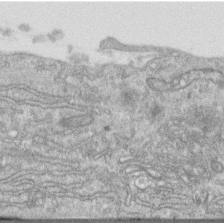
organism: Human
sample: Centriole in RPE cells